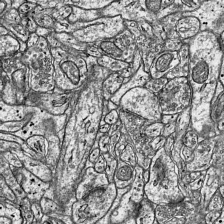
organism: Mouse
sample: Visual Cortex